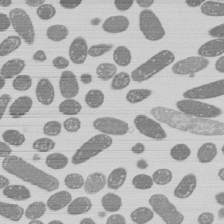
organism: E. coli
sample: Bacterial nucleoid